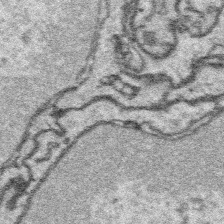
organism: Platynereis dumerilii